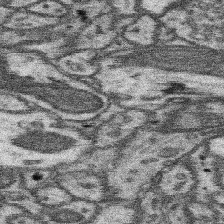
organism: Mouse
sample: Somatosensory cortex neuropil